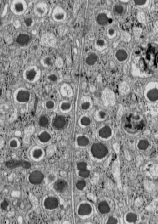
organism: C57BL Mouse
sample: Pancreatic islet